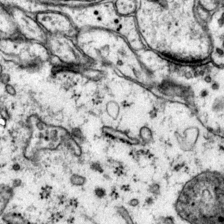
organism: Mouse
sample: Primary visual cortex